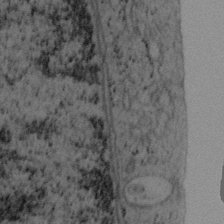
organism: Human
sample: HeLa cells